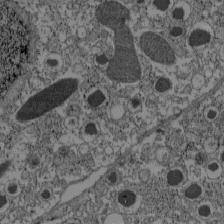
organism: C57BL Mouse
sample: Pancreatic islet